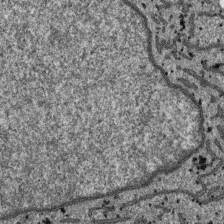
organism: Human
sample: Lung epithelial cells infected with SARS-CoV-2